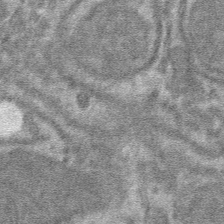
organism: Mouse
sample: Mouse hepatocytes